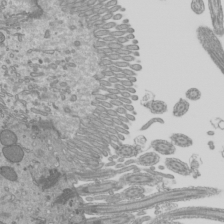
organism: Mouse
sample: Cilia; mouse epididymis